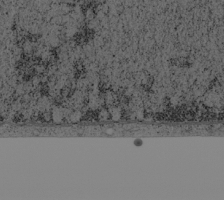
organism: African green monkey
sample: COS-7 cells